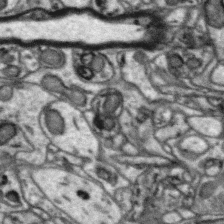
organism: Zebra finch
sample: Brain